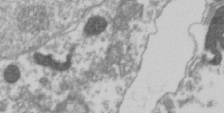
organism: Drosophila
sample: Cell division; meiosis; drosophila spermatocytes